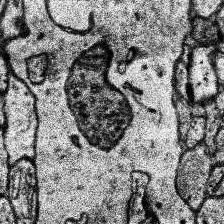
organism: Human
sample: Temporal Lobe